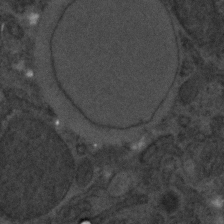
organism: C. elegans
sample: C. elegans embryo